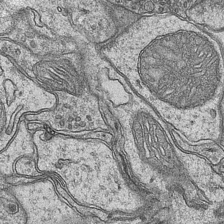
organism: Mouse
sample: CA1 Hippocampus